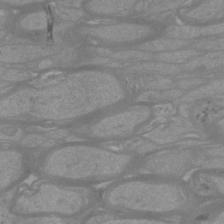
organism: Mouse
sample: Cortical neurons